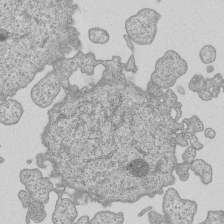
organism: Human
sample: MDA-MB-231 cells